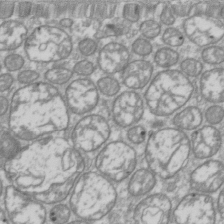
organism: Drosophila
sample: Cell division; meiosis; drosophila spermatocytes